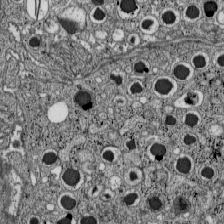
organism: C57BL Mouse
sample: Pancreatic islet